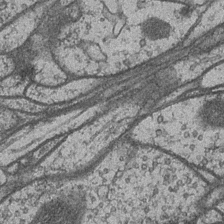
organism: Drosophila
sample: Optic medulla